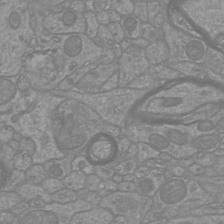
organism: Mouse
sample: Cortical neurons